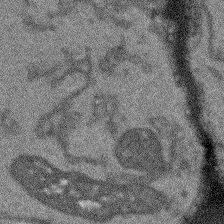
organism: Arabidopsis thaliana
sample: Root tip